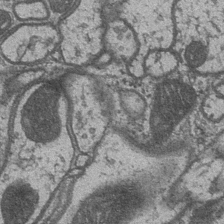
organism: Drosophila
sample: Optic medulla